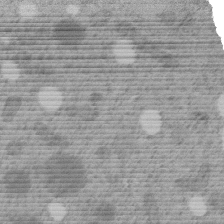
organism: C. elegans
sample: C. elegans embryo early stage